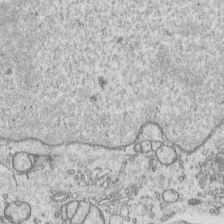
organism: Human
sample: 1205lu cells